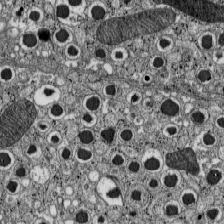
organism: C57BL Mouse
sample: Pancreatic islet